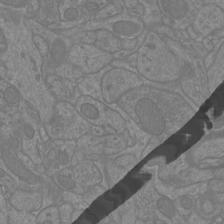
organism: Mouse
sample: Cortical neurons